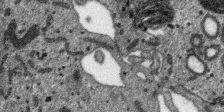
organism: Human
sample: Lung epithelial cells infected with SARS-CoV-2